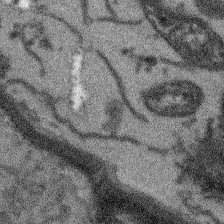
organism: Arabidopsis thaliana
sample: Root tip